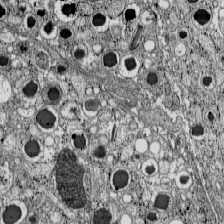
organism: C57BL Mouse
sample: Pancreatic islet